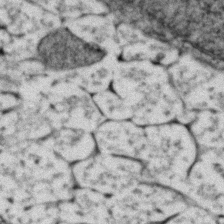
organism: Zebrafish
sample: Zebrafish embryo